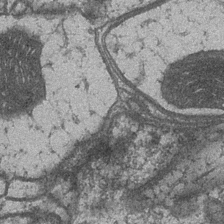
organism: Drosophila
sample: Optic medulla